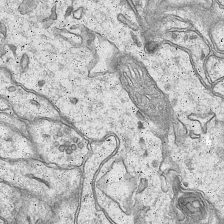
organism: Mouse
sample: CA1 Hippocampus